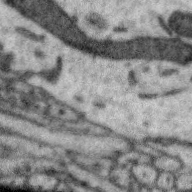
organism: Zebra finch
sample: Brain